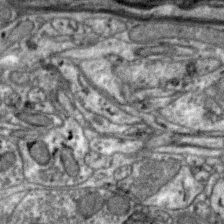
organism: Zebra finch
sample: Brain